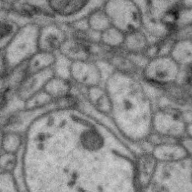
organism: Zebra finch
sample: Brain